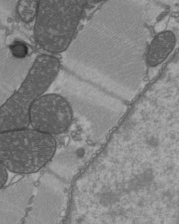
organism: C57BL Mouse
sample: Heart